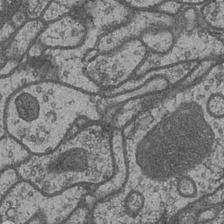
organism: Drosophila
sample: Optic medulla